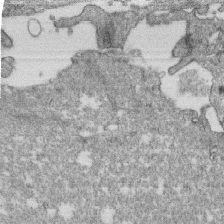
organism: African green monkey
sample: Vero E6 cells infected with SARS-CoV-2